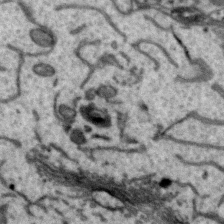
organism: Zebra finch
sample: Brain